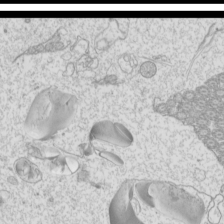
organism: Mouse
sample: Cilia; mouse epididymis